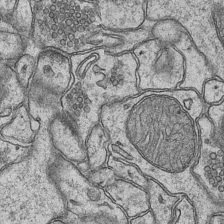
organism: Mouse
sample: CA1 Hippocampus